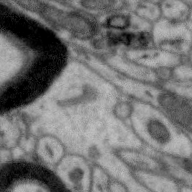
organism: Zebra finch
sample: Brain